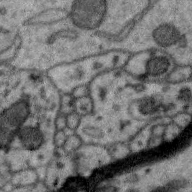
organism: Zebra finch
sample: Brain